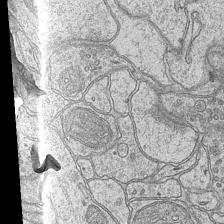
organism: Mouse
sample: CA1 Hippocampus